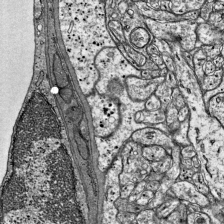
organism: Mouse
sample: Visual Cortex